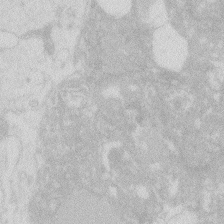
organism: Zebrafish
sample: Macrophage